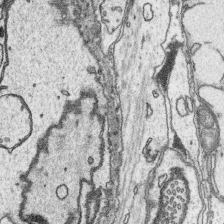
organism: Platynereis dumerilii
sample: Parapodia